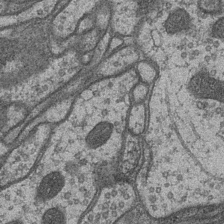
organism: Drosophila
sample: Optic medulla